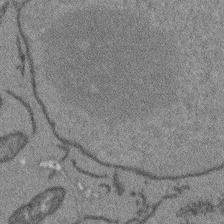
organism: Arabidopsis thaliana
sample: Root tip